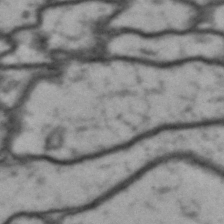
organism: Drosophila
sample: Brain